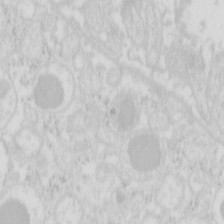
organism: Mouse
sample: Pancreas